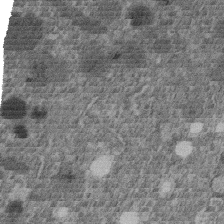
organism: C. elegans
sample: C. elegans embryo early stage